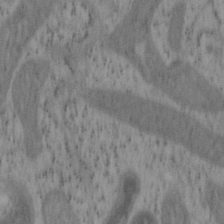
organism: Mouse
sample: OT-I killer T cells with ID8 ovarian cancer cells